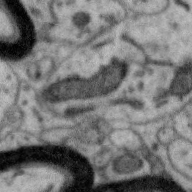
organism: Zebra finch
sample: Brain